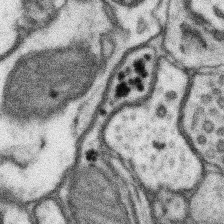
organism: Mouse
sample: Somatosensory cortex neuropil